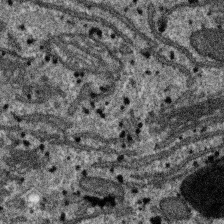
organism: Human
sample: Lung epithelial cells infected with SARS-CoV-2